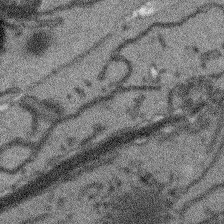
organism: Arabidopsis thaliana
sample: Root tip